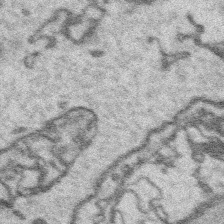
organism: Platynereis dumerilii